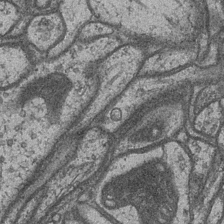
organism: Drosophila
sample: Optic medulla